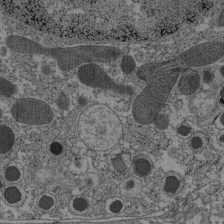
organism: C57BL Mouse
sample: Pancreatic islet